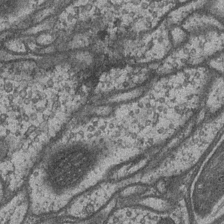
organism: Drosophila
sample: Optic medulla